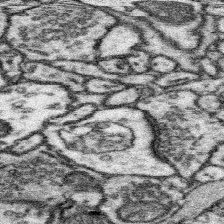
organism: Mouse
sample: Somatosensory cortex neuropil